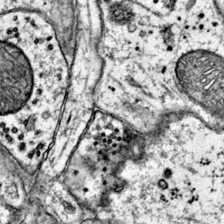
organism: Mouse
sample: Primary visual cortex